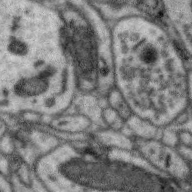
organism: Zebra finch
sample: Brain